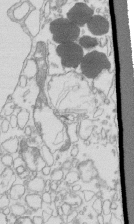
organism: Mouse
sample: Macrophages